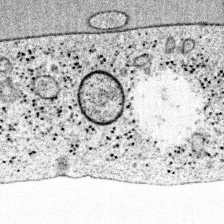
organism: Human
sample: HeLa cells